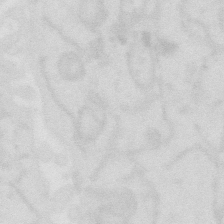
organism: Human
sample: HeLa cells